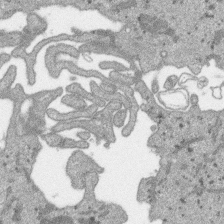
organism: Human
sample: Lung epithelial cells infected with SARS-CoV-2